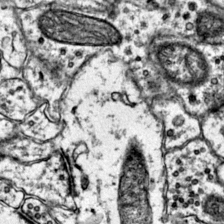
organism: Mouse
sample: Primary visual cortex